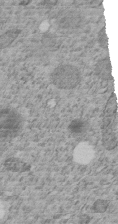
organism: C. elegans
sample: C. elegans embryo early stage